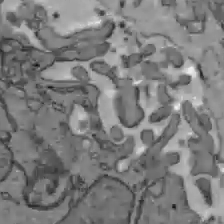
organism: C57BL Mouse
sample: Liver